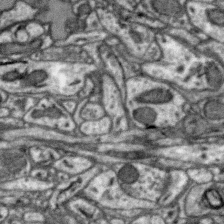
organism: Zebra finch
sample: Brain